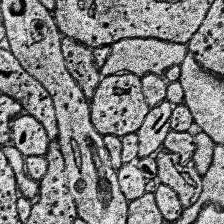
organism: Human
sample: Temporal Lobe